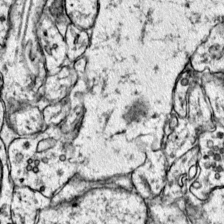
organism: Mouse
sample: Primary visual cortex